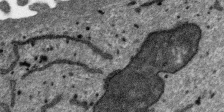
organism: Human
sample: Lung epithelial cells, uninfected (mock) control